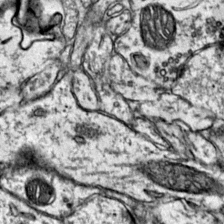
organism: Mouse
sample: Primary visual cortex